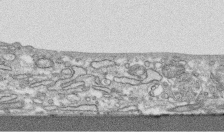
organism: Human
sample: CRL-1474